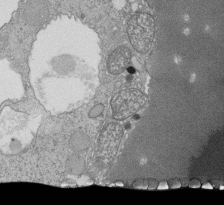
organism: Tetrahymena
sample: Cilia in tetrahymena